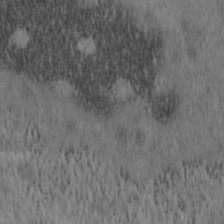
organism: Mouse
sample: OT-I killer T cells with ID8 ovarian cancer cells